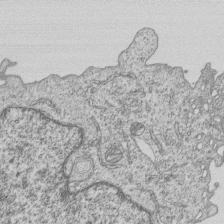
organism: Human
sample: MDA-MB-231 cells